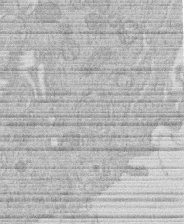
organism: Human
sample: Macrophage cells